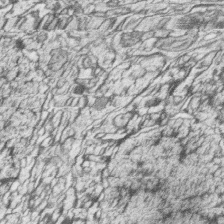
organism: Zebrafish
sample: synaptic ribbons in rod cells and cone cells